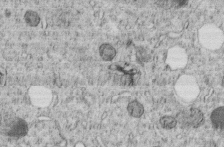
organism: C. elegans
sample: C. elegans embryo early stage